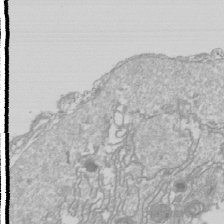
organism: Drosophila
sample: Cell division; meiosis; drosophila spermatocytes